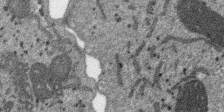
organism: Human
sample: Lung epithelial cells infected with SARS-CoV-2